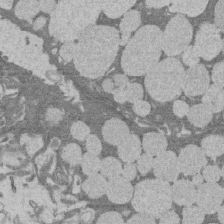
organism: Rat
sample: Salivary granule